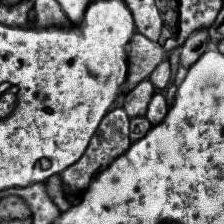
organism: Human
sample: Temporal Lobe